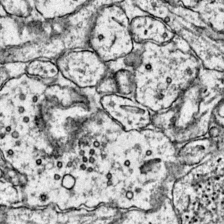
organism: Mouse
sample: Primary visual cortex